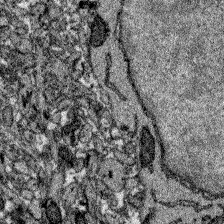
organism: Zebrafish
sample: Larval olfactory bulb